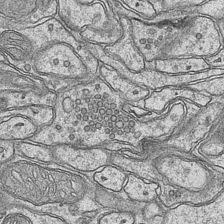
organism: Mouse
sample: CA1 Hippocampus